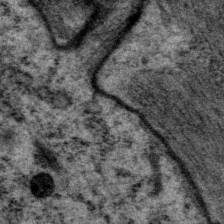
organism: P. pacificus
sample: Pharynx